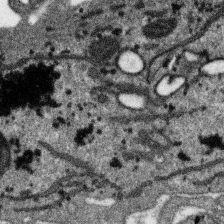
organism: Human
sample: Lung epithelial cells infected with SARS-CoV-2